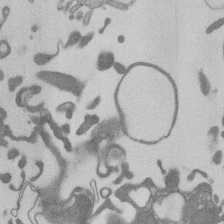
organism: Mouse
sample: Dividing mouse embryo 1 cell stage